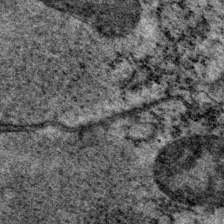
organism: P. pacificus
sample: Pharynx